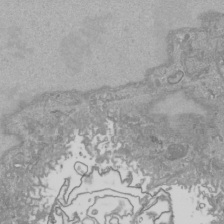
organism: Human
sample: Mitochondria in HCT116 cells